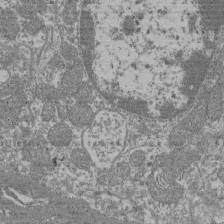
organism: Mouse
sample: Glomerulus